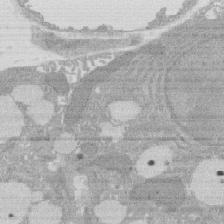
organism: Rat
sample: Salivary granule